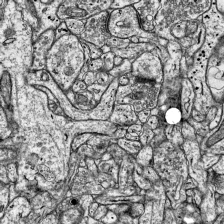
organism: Mouse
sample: Visual Cortex